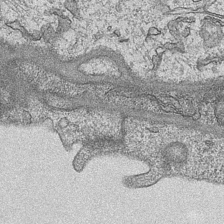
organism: Mouse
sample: CA1 Hippocampus